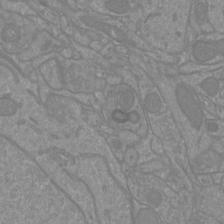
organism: Mouse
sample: Cortical neurons